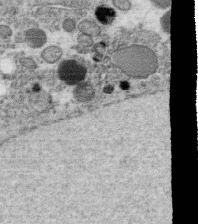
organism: C. elegans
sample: C. elegans oocyte; sperm cells